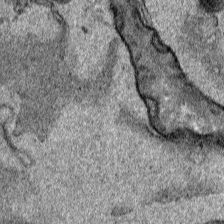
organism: Human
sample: Mitochondria in HCT116 cells